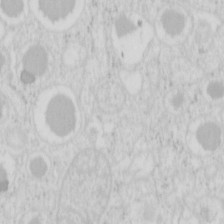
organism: Mouse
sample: Pancreas